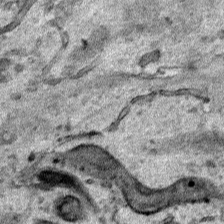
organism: Human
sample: Mitochondria in HCT116 cells